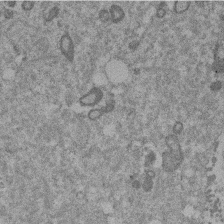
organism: Mouse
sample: Dividing mouse embryo 1 cell stage